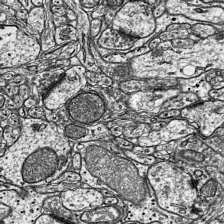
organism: Mouse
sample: Visual Cortex